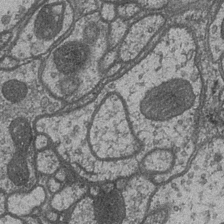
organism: Drosophila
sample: Optic medulla